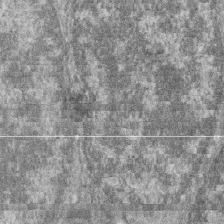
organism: Zebrafish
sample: Cilia; retinal pigment epithelium